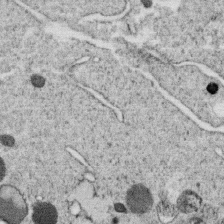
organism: C. elegans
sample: C. elegans oocyte; sperm cells